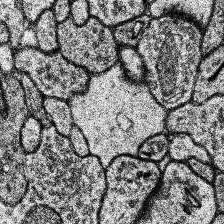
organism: Human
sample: Temporal Lobe